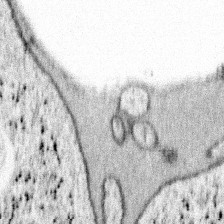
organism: Human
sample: HeLa cells